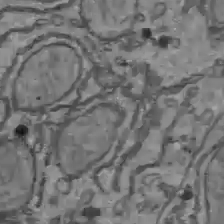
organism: C57BL Mouse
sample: Liver